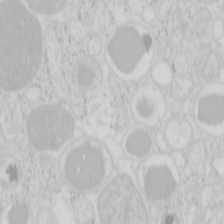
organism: Mouse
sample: Pancreas